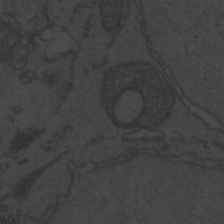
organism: Zebrafish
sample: Macrophage infected with Toxoplasma gondii